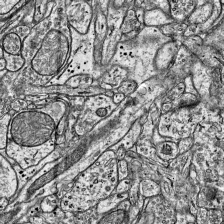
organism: Mouse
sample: Visual Cortex